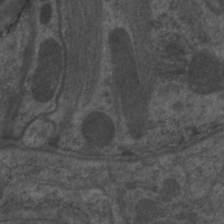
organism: C. elegans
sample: Pharynx